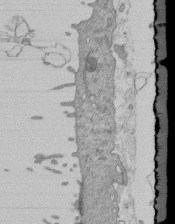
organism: Mouse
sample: ED-1 cell nuclei; centrioles